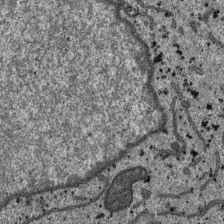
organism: Human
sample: Lung epithelial cells infected with SARS-CoV-2